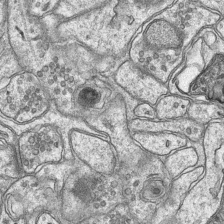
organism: Mouse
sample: CA1 Hippocampus